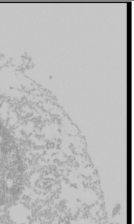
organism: Mouse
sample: Cancer cell death in ED-1 cells